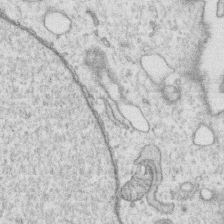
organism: Human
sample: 1205lu cells